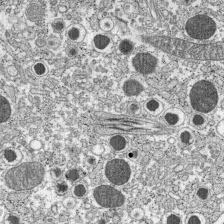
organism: C57BL Mouse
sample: Pancreatic islet